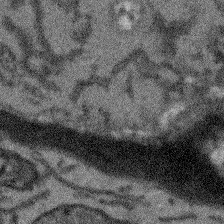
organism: Arabidopsis thaliana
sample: Root tip